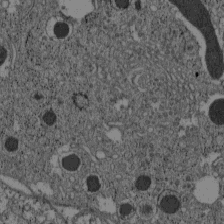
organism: C57BL Mouse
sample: Pancreatic islet